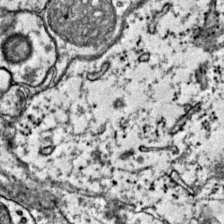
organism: Mouse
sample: Primary visual cortex